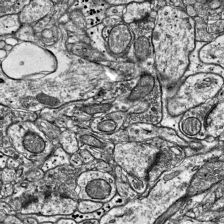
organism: Mouse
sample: Visual Cortex